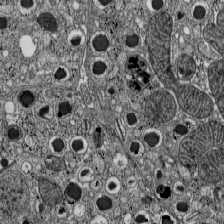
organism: C57BL Mouse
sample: Pancreatic islet